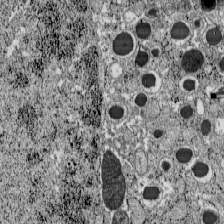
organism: C57BL Mouse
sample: Pancreatic islet